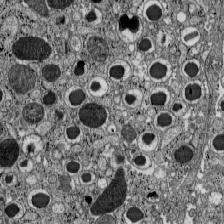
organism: C57BL Mouse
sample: Pancreatic islet